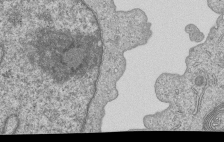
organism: Human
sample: MDA-MB-231 cells